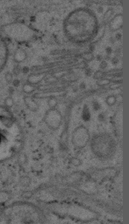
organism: Human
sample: HeLa cells